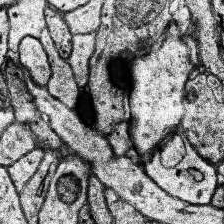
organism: Human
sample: Temporal Lobe